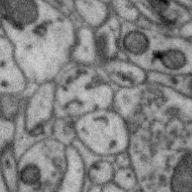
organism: Zebra finch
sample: Brain